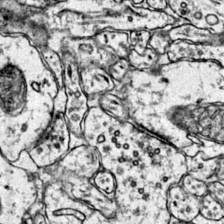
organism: Mouse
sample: Primary visual cortex